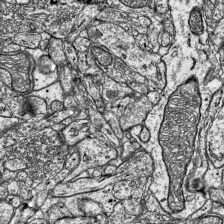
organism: Mouse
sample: Visual Cortex